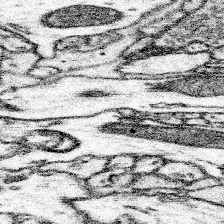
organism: Mouse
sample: Somatosensory cortex neuropil